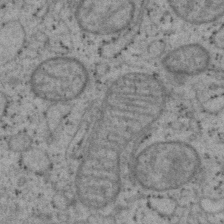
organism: Human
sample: HeLa cells